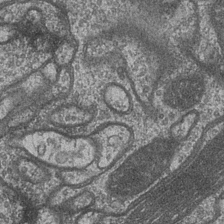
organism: Drosophila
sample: Optic medulla